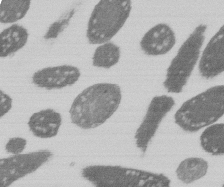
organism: E. coli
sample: Bacterial nucleoid